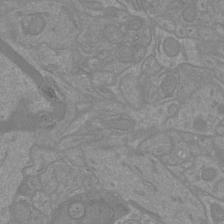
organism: Mouse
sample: Cortical neurons